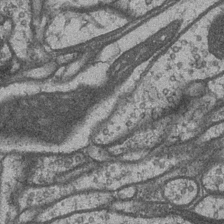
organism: Drosophila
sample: Optic medulla